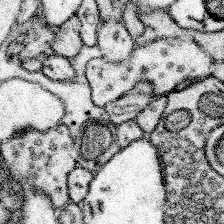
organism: Mouse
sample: Somatosensory cortex neuropil